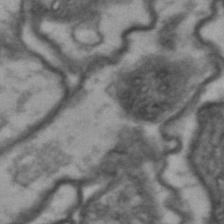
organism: Drosophila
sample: Brain